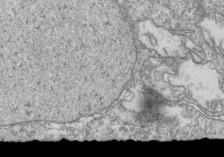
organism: Human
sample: HeLa cell HIV synapse